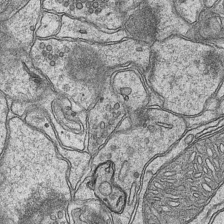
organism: Mouse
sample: CA1 Hippocampus